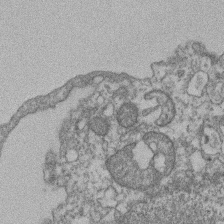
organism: Mouse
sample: T cell stromal cell synapse